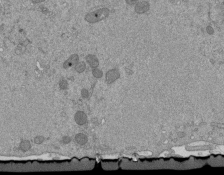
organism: Mouse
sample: ED-1 cell nuclei; centrioles